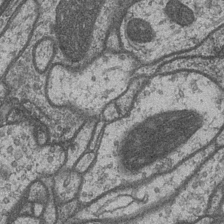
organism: Drosophila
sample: Optic medulla